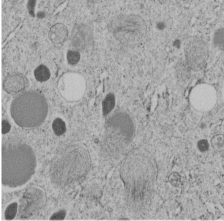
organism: C. elegans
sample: C. elegans embryo early stage